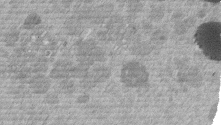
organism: Mouse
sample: Dividing mouse embryo 1 cell stage